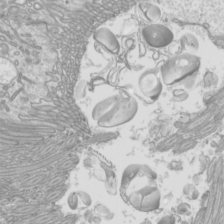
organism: Mouse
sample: Cilia; mouse epididymis